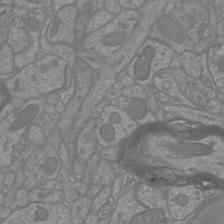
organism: Mouse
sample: Cortical neurons